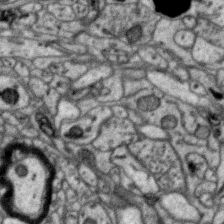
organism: Zebra finch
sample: Brain